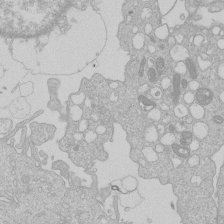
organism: Human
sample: Macrophage cells